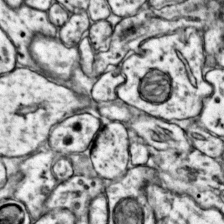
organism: Mouse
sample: Primary visual cortex